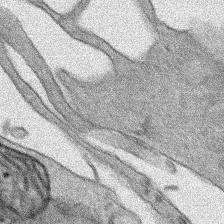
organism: Human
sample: Mitochondria in HCT116 cells